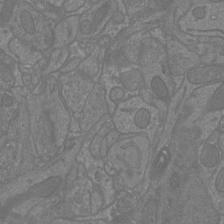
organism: Mouse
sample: Cortical neurons